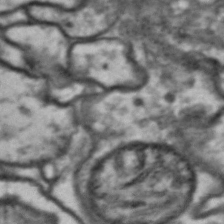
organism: Drosophila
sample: Brain